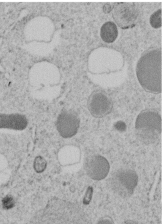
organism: C. elegans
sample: C. elegans embryo early stage